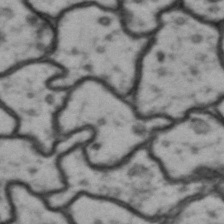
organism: Drosophila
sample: Brain